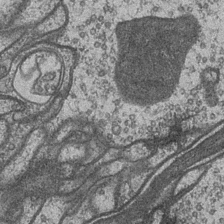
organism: Drosophila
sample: Optic medulla